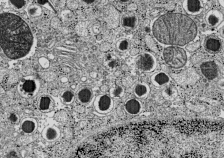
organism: C57BL Mouse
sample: Pancreatic islet